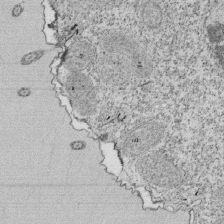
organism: Tetrahymena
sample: Cilia in tetrahymena